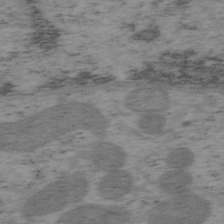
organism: Mouse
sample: OT-I killer T cells with ID8 ovarian cancer cells